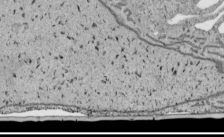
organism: Human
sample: Mitochondria in HCT116 cells